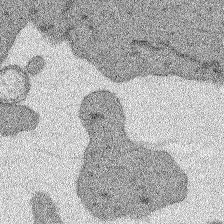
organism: Human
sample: HeLa cells